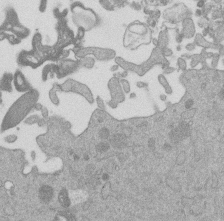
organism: Mouse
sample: Dividing mouse embryo 1 cell stage